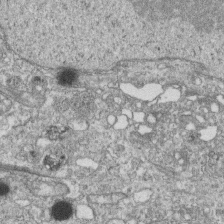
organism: Human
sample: HeLa cell HIV synapse